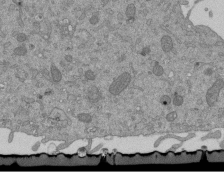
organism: Mouse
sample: ED-1 cell nuclei; centrioles